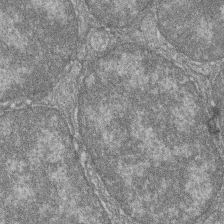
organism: Zebrafish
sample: Cilia; retinal pigment epithelium